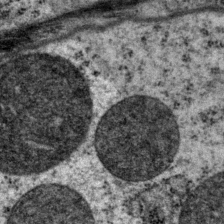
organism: P. pacificus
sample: Pharynx